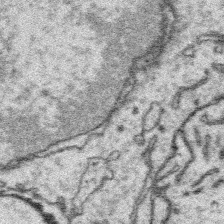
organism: Platynereis dumerilii